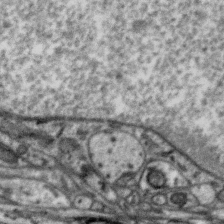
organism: Zebra finch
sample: Brain